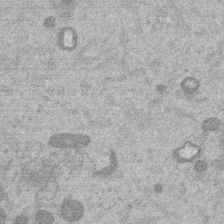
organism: Mouse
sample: Dividing mouse embryo 1 cell stage